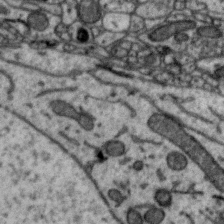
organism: Zebra finch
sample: Brain